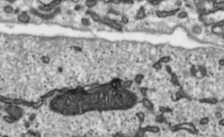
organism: Toxoplasma gondii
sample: Parasites in a vacuole inside a host cell